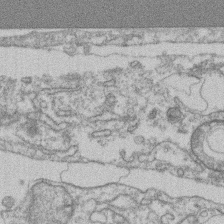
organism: Mouse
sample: T cell stromal cell synapse